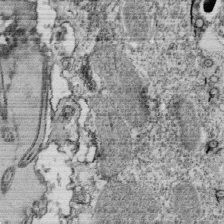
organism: Tetrahymena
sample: Cilia in tetrahymena